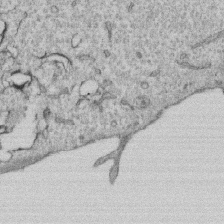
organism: Human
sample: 1205lu cells